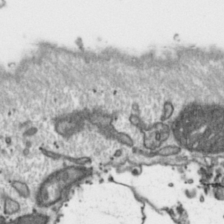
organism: Toxoplasma gondii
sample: Parasites in a vacuole inside a host cell